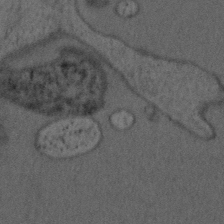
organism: Human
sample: HeLa cells